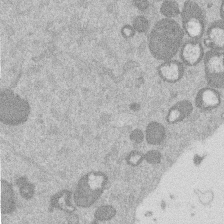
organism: Mouse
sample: Dividing mouse embryo 1 cell stage